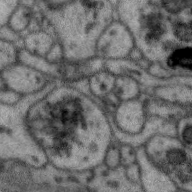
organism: Zebra finch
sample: Brain